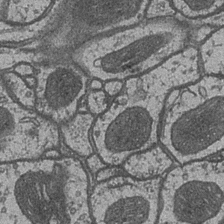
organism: Drosophila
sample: Optic medulla